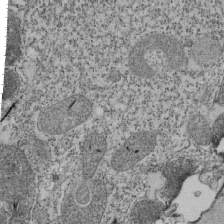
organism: Tetrahymena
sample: Cilia in tetrahymena